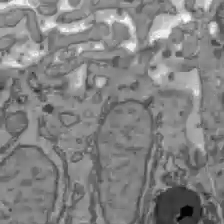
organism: C57BL Mouse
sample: Liver